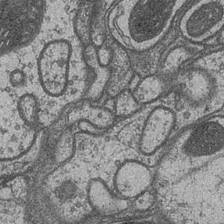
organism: Drosophila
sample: Optic medulla